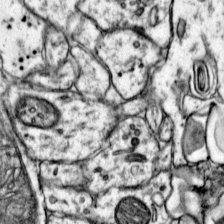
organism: Mouse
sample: Primary visual cortex